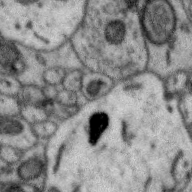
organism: Zebra finch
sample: Brain